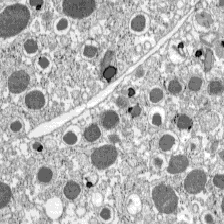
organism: C57BL Mouse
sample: Pancreatic islet